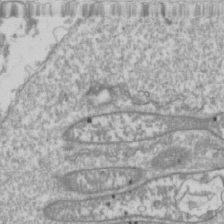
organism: Drosophila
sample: Cell division; meiosis; drosophila spermatocytes